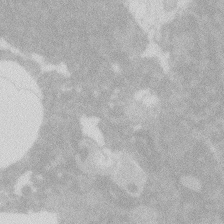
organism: Zebrafish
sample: Macrophage